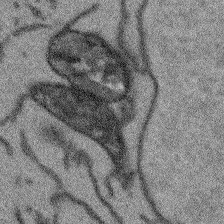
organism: Arabidopsis thaliana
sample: Root tip